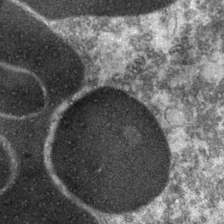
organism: Zebrafish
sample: Zebrafish embryo